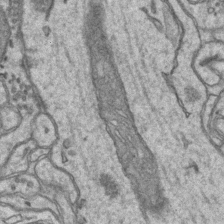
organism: Mouse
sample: CA1 Hippocampus